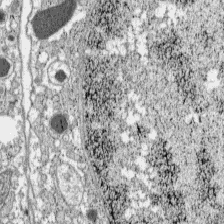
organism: C57BL Mouse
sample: Pancreatic islet